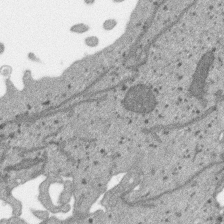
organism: Human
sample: Lung epithelial cells infected with SARS-CoV-2